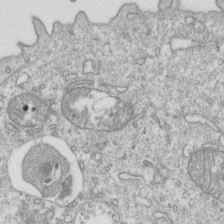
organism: Mouse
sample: Activated OT-1 CD8+ T cells